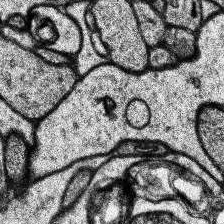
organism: Human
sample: Temporal Lobe